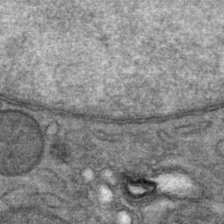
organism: Mouse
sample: Mouse Salivary gland